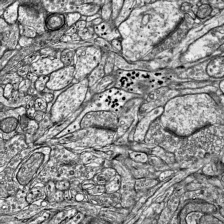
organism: Mouse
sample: Visual Cortex